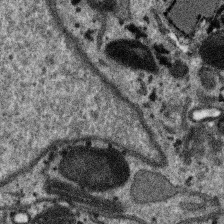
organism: Human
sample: Lung epithelial cells infected with SARS-CoV-2